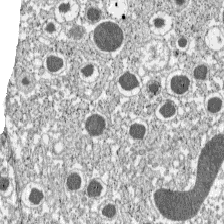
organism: C57BL Mouse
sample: Pancreatic islet